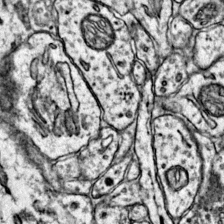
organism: Mouse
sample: Primary visual cortex